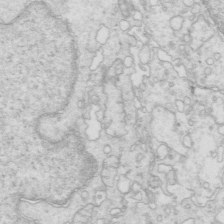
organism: Mouse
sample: Multiciliated cells